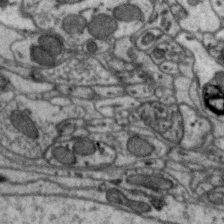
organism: Zebra finch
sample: Brain